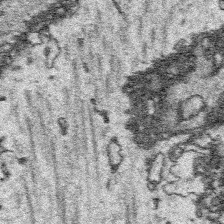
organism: Platynereis dumerilii